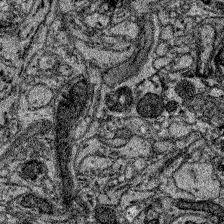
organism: Zebrafish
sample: Larval olfactory bulb